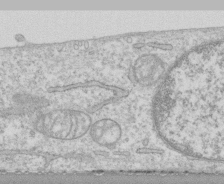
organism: Human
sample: CRL-1474